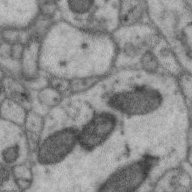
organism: Zebra finch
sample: Brain